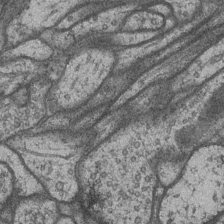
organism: Drosophila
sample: Optic medulla